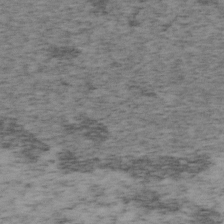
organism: Mouse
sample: OT-I killer T cells with ID8 ovarian cancer cells